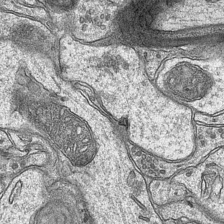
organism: Mouse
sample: CA1 Hippocampus